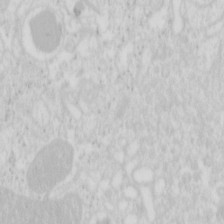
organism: Mouse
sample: Pancreas